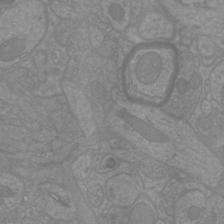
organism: Mouse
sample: Cortical neurons